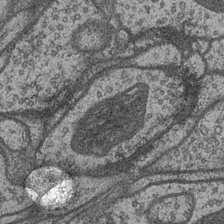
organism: Drosophila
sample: Optic medulla